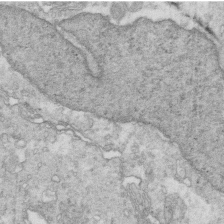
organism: Mouse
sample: Multiciliated cells